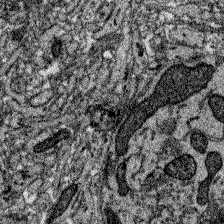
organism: Zebrafish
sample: Larval olfactory bulb